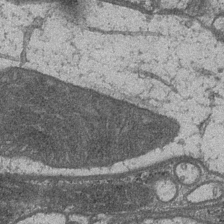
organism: Drosophila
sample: Optic medulla